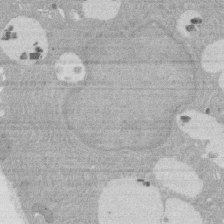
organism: Rat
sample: Salivary granule